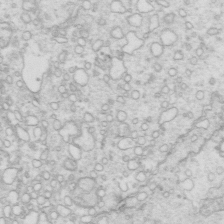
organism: Mouse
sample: Multiciliated cells